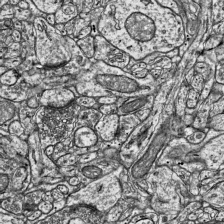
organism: Mouse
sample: Visual Cortex